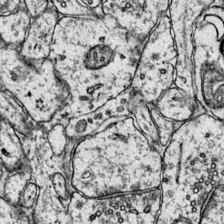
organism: Mouse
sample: Primary visual cortex